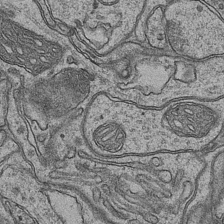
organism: Mouse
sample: CA1 Hippocampus